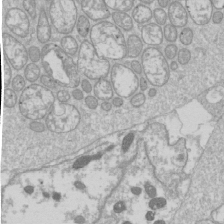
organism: Drosophila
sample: Cell division; meiosis; drosophila spermatocytes